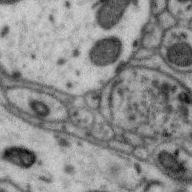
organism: Zebra finch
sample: Brain